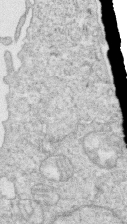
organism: Human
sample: HeLa cell HIV synapse